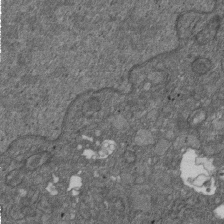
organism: Drosophila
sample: Nephrocyte